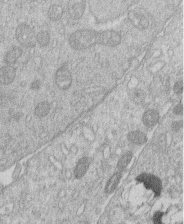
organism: Human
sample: Macrophage cells